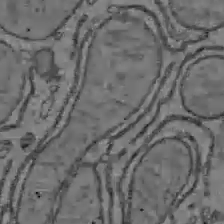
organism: C57BL Mouse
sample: Liver